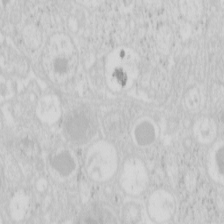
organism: Mouse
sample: Pancreas